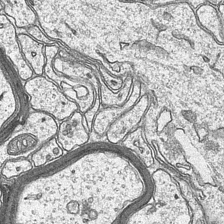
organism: Mouse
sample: CA1 Hippocampus